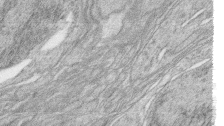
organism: Zebrafish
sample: synaptic ribbons in rod cells and cone cells